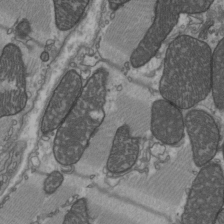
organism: C57BL Mouse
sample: Heart